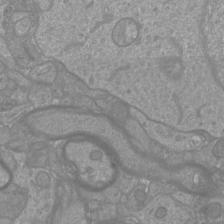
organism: Mouse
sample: Cortical neurons